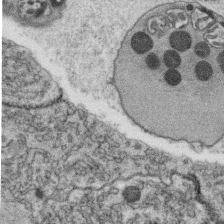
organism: C. elegans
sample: C. elegans oocyte; sperm cells